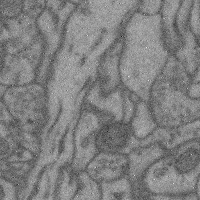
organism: Mouse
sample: Cerebral cortex